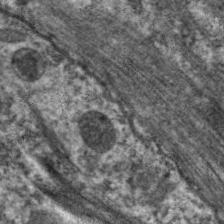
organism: C. elegans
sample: Pharynx